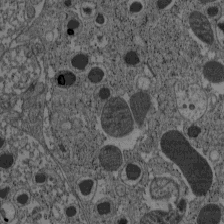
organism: C57BL Mouse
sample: Pancreatic islet